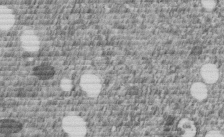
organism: C. elegans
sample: C. elegans embryo early stage